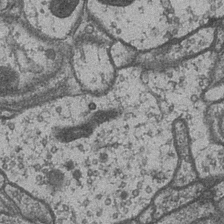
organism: Drosophila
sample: Optic medulla